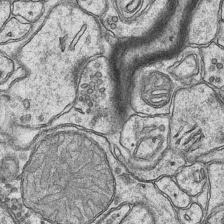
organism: Mouse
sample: CA1 Hippocampus